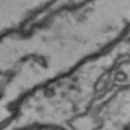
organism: Drosophila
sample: Brain